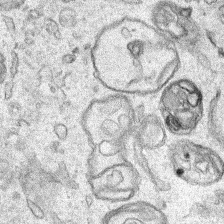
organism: Human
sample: Mitochondria in HCT116 cells